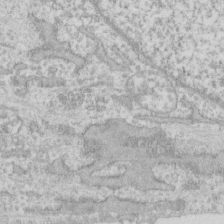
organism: Human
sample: Fibroblast cells